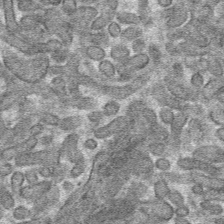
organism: Mouse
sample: Mouse hepatocytes